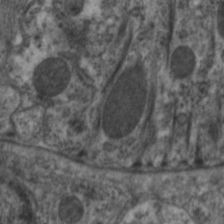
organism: C. elegans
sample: Pharynx